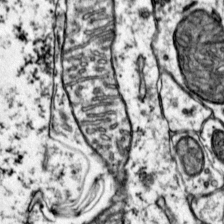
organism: Mouse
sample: Primary visual cortex